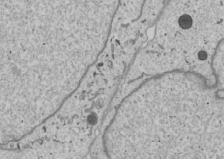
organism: Human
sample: Mitochondria in U2OS cells